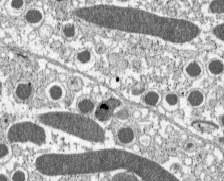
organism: C57BL Mouse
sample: Pancreatic islet